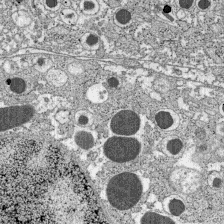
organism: C57BL Mouse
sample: Pancreatic islet